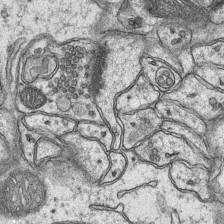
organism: Mouse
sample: CA1 Hippocampus